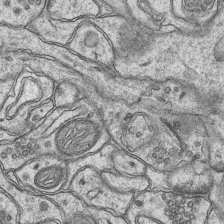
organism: Mouse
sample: CA1 Hippocampus